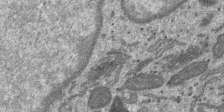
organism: Human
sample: Lung epithelial cells infected with SARS-CoV-2